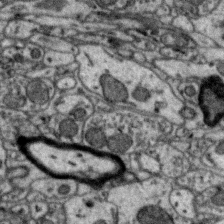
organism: Zebra finch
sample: Brain